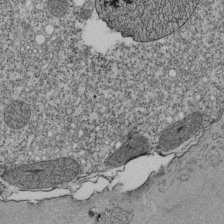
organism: Tetrahymena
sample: Cilia in tetrahymena